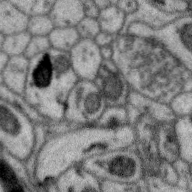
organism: Zebra finch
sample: Brain